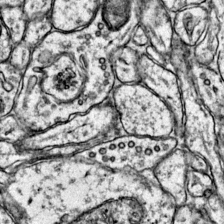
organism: Mouse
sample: Primary visual cortex